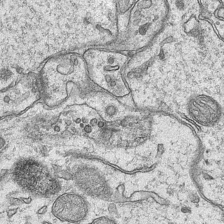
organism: Mouse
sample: CA1 Hippocampus